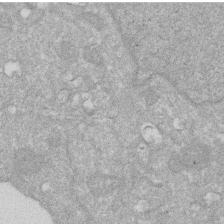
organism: Human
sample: HIV infected U937 cells